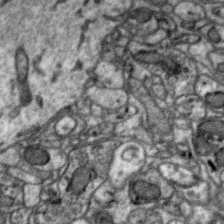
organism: Zebra finch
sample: Brain